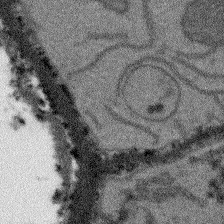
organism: Arabidopsis thaliana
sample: Root tip